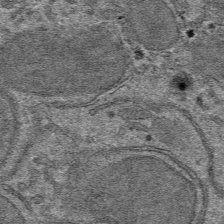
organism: Mouse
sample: Mouse hepatocytes